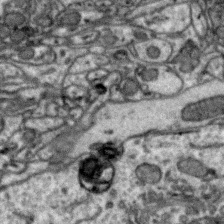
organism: Zebra finch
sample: Brain